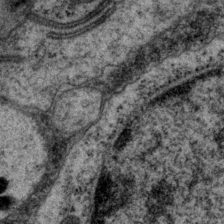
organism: P. pacificus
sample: Pharynx